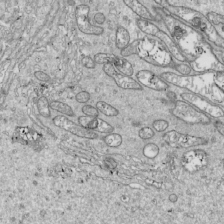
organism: Drosophila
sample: Cell division; meiosis; drosophila spermatocytes